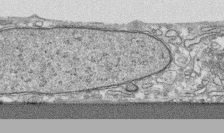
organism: Human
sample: CRL-1474